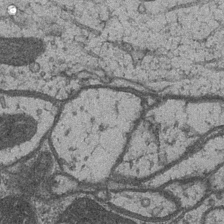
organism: Drosophila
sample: Optic medulla